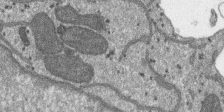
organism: Human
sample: Lung epithelial cells infected with SARS-CoV-2